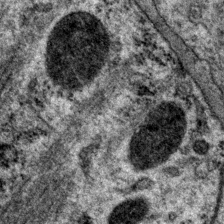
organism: P. pacificus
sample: Pharynx